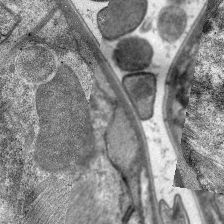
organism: C. elegans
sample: Pharynx